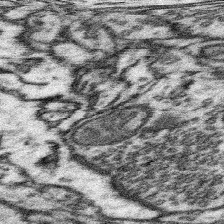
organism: Mouse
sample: Somatosensory cortex neuropil